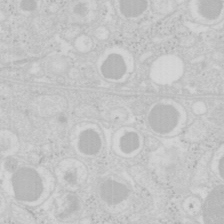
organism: Mouse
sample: Pancreas